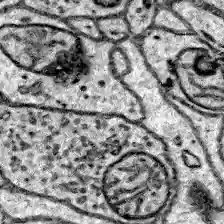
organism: Zebrafish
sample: Brain